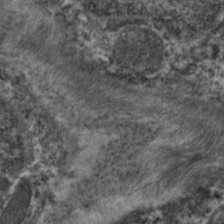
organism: Zebrafish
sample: Zebrafish embryo